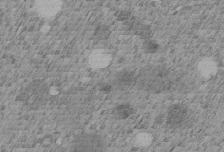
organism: C. elegans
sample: C. elegans embryo early stage